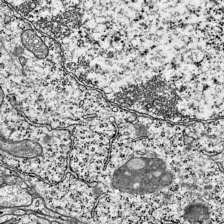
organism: Mouse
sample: Visual Cortex